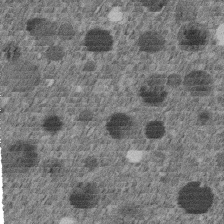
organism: C. elegans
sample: C. elegans embryo early stage